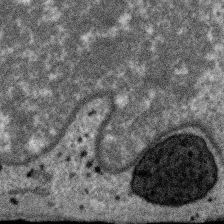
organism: Human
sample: Lung epithelial cells infected with SARS-CoV-2